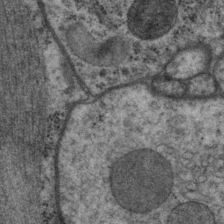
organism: P. pacificus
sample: Pharynx